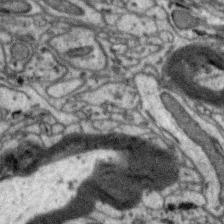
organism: Zebra finch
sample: Brain